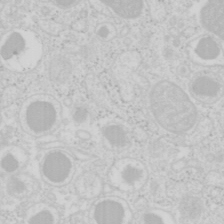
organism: Mouse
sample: Pancreas